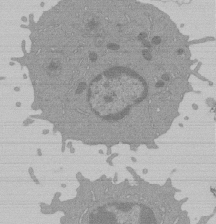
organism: Mouse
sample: Activated Pmel transgenic CD8+ T Cells